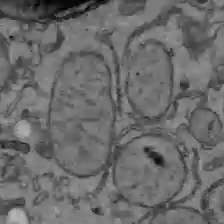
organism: C57BL Mouse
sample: Liver